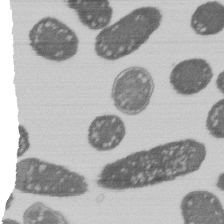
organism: E. coli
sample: Bacterial nucleoid